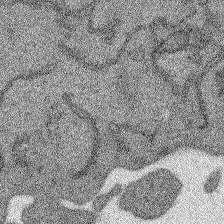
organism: Human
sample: HeLa cells